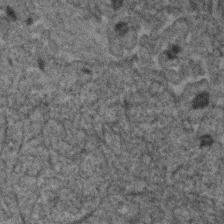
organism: Human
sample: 1205lu cells